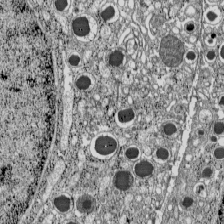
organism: C57BL Mouse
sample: Pancreatic islet